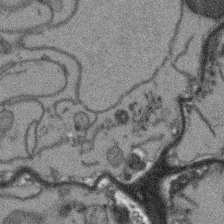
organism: Arabidopsis thaliana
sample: Root tip